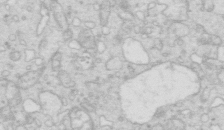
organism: Mouse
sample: Multiciliated cells